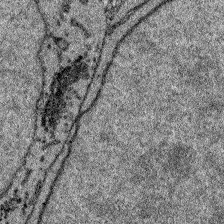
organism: Zebrafish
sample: Larval olfactory bulb